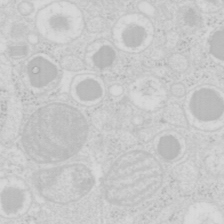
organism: Mouse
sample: Pancreas